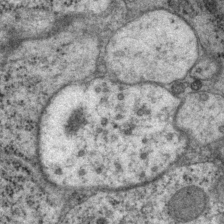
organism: P. pacificus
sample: Pharynx